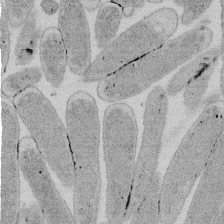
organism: E. coli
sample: Bacterial nucleoid